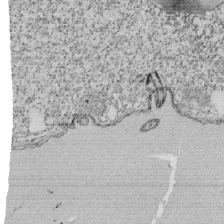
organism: Tetrahymena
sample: Cilia in tetrahymena